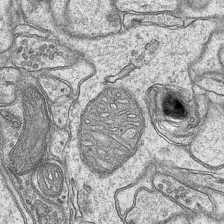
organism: Mouse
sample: CA1 Hippocampus